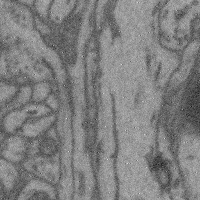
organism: Mouse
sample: Cerebral cortex